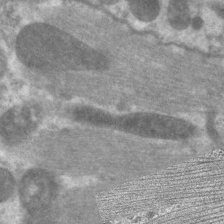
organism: C. elegans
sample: Pharynx